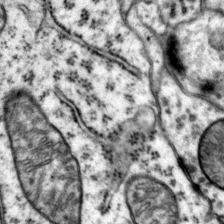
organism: Mouse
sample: Primary visual cortex